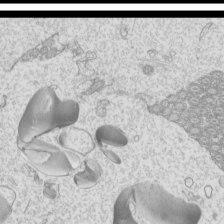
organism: Mouse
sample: Cilia; mouse epididymis